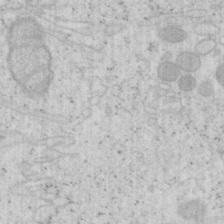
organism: Human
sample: HeLa cells